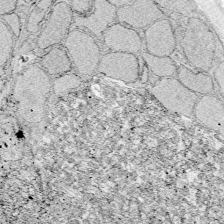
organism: Zebrafish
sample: Whole-Brain